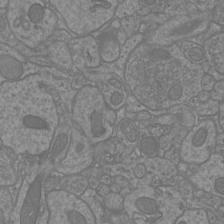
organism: Mouse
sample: Cortical neurons